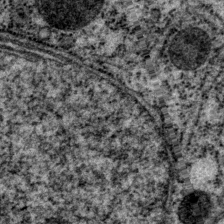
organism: P. pacificus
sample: Pharynx